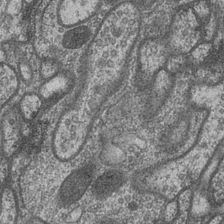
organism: Drosophila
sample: Optic medulla